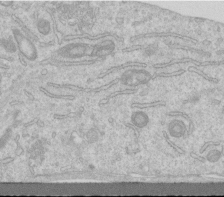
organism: Human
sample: Centriole in RPE cells